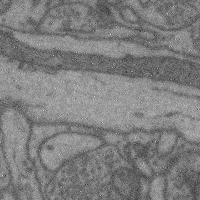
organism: Mouse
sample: Cerebral cortex